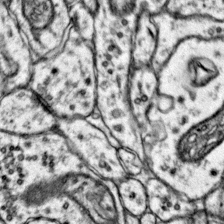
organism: Mouse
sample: Primary visual cortex